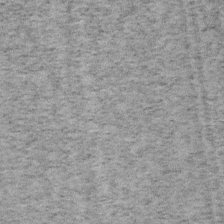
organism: Mouse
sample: OT-I killer T cells with ID8 ovarian cancer cells